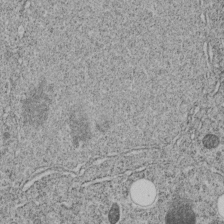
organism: C. elegans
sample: C. elegans embryo early stage